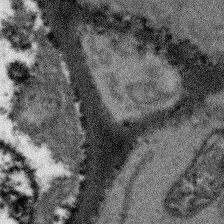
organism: Arabidopsis thaliana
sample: Root tip